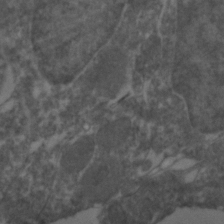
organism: Zebrafish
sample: Zebrafish embryo